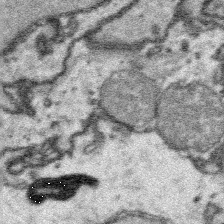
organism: Platynereis dumerilii